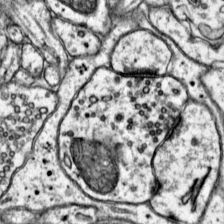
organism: Mouse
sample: Primary visual cortex